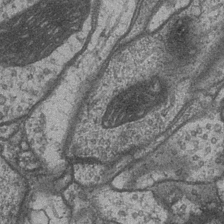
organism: Drosophila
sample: Optic medulla